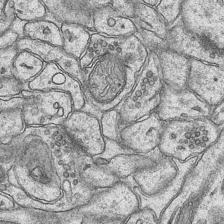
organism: Mouse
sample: CA1 Hippocampus